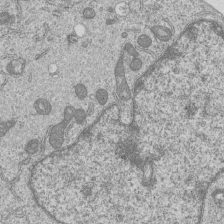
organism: Human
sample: MDA-MB-231 cells